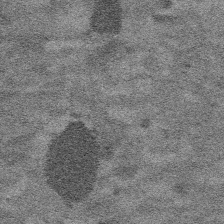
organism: Platynereis dumerilii